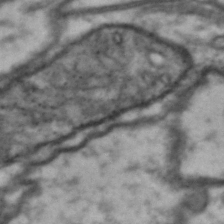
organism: Drosophila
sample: Brain